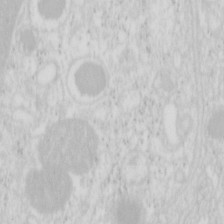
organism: Mouse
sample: Pancreas